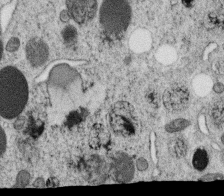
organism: C. elegans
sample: C. elegans oocyte; sperm cells